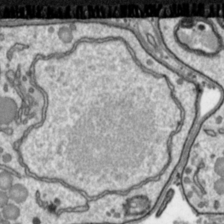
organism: Toxoplasma gondii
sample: Parasites in a vacuole inside a host cell